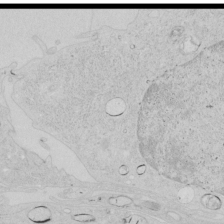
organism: Human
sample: Mitochondria in HCT116 cells